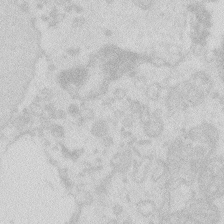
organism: Zebrafish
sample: Macrophage